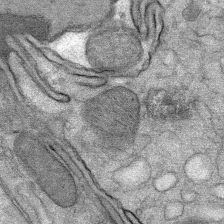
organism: Mouse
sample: Mouse Salivary gland